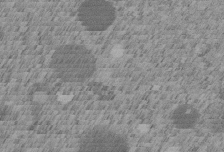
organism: C. elegans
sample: C. elegans embryo early stage